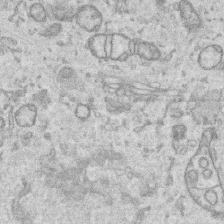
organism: Human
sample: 1205lu cells